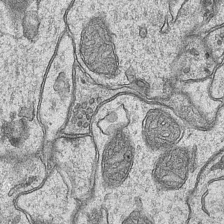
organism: Mouse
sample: CA1 Hippocampus